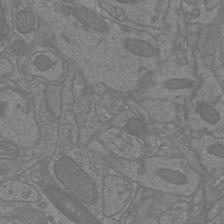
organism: Mouse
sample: Cortical neurons